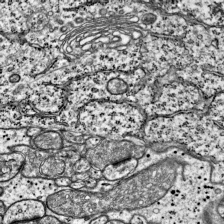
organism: Mouse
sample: Visual Cortex